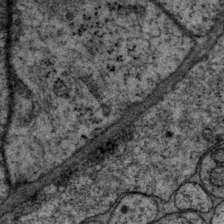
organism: P. pacificus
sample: Pharynx